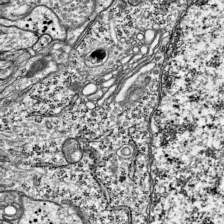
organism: Mouse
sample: Visual Cortex